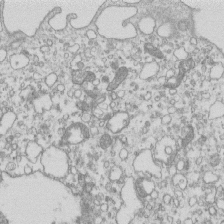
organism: Mouse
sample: Macrophages